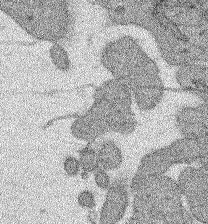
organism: Human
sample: HeLa cells